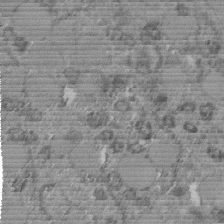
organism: C. elegans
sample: C. elegans embryo early stage